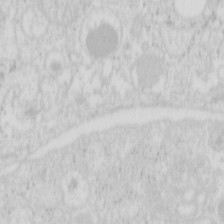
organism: Mouse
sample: Pancreas